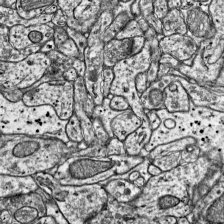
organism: Mouse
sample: Visual Cortex